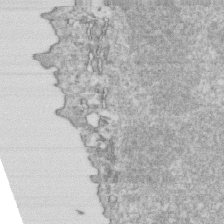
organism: Mouse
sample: Activated OT-1 CD8+ T cells